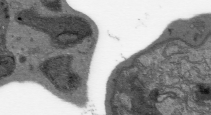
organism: Plasmodium falciparum